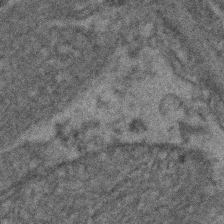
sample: Kidney